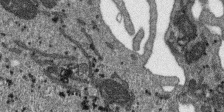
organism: Human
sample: Lung epithelial cells infected with SARS-CoV-2